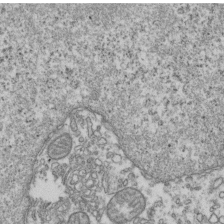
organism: Human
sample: Activated Jurkat CD4+ T cells